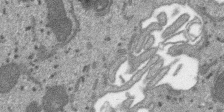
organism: Human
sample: Lung epithelial cells infected with SARS-CoV-2